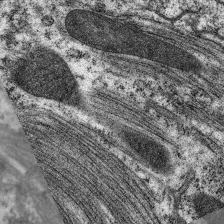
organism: C. elegans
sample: Pharynx